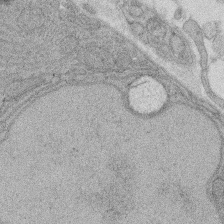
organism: Rat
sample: Salivary granule